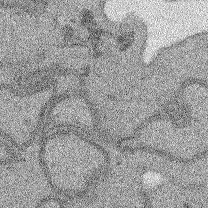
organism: Human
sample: HeLa cells